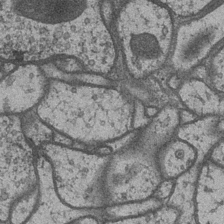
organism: Drosophila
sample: Optic medulla